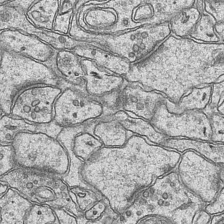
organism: Mouse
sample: CA1 Hippocampus